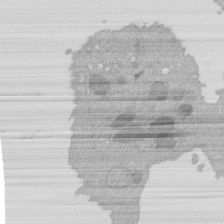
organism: Mouse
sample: Activated Pmel transgenic CD8+ T Cells